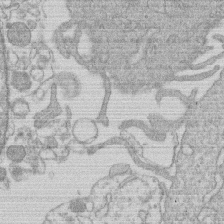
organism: Human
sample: Macrophage cells